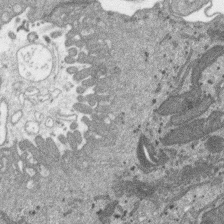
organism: Human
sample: Lung epithelial cells infected with SARS-CoV-2